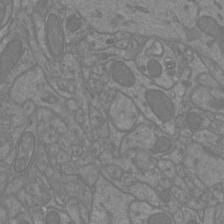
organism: Mouse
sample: Cortical neurons